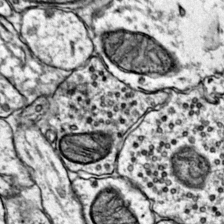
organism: Mouse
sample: Primary visual cortex